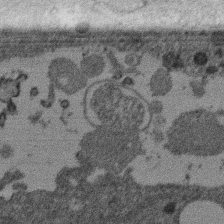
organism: Mouse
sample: Dividing mouse embryo 1 cell stage